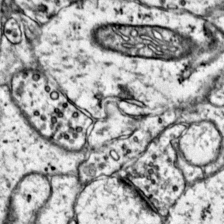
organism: Mouse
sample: Primary visual cortex